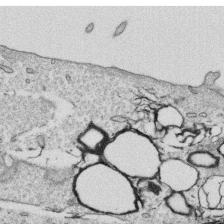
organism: Human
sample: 1205lu cells